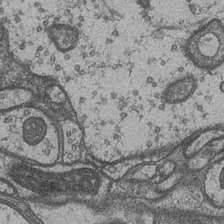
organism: Drosophila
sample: Optic medulla